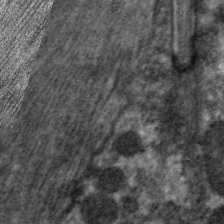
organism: C. elegans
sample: Pharynx